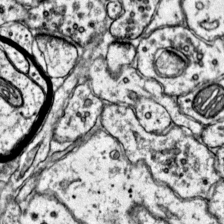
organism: Mouse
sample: Primary visual cortex